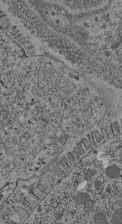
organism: C. elegans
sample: C. elegans pharynx